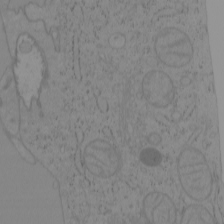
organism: Human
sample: HeLa cells